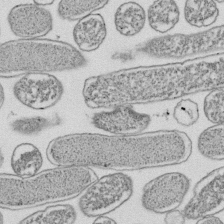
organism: E. coli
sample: Bacterial nucleoid